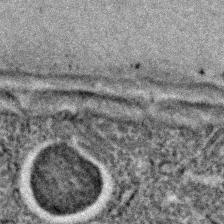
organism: C. elegans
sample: C. elegans embryo